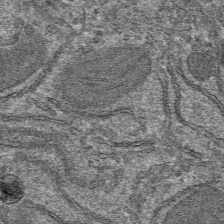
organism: Mouse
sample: Mouse hepatocytes